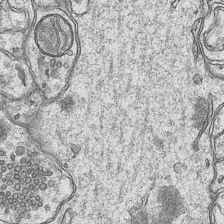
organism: Mouse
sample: CA1 Hippocampus